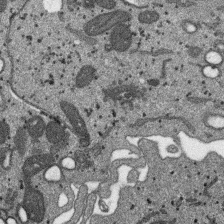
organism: Human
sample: Lung epithelial cells infected with SARS-CoV-2